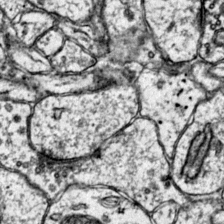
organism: Mouse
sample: Primary visual cortex